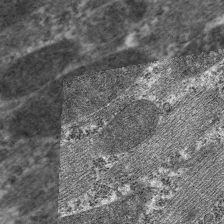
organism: C. elegans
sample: Pharynx